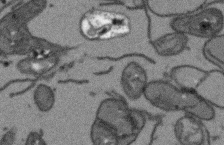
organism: Arabidopsis thaliana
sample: Root tip